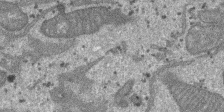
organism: Human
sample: Lung epithelial cells infected with SARS-CoV-2